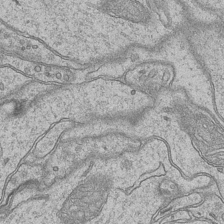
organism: Mouse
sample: CA1 Hippocampus